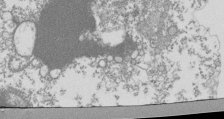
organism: Mouse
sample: Activated Pmel transgenic CD8+ T Cells